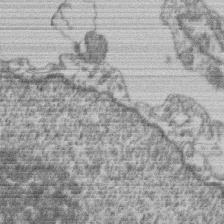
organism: Mouse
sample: T cell stromal cell synapse